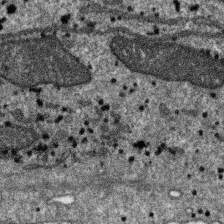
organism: Human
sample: Lung epithelial cells infected with SARS-CoV-2